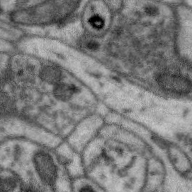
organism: Zebra finch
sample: Brain